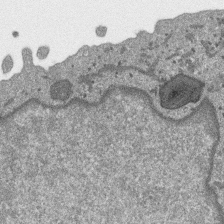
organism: Human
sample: Lung epithelial cells infected with SARS-CoV-2